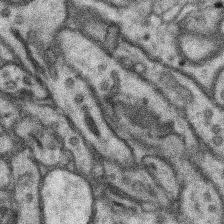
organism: Mouse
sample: Somatosensory cortex neuropil